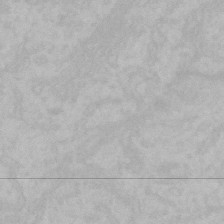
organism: Mouse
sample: Choroid plexus